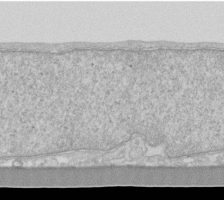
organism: Human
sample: Fibroblast cells